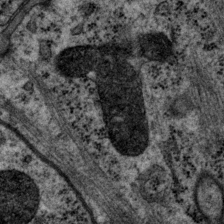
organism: P. pacificus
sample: Pharynx